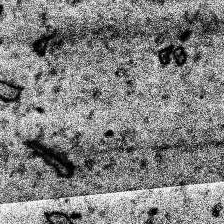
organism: Human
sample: Temporal Lobe